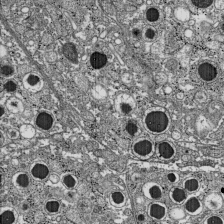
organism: C57BL Mouse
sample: Pancreatic islet